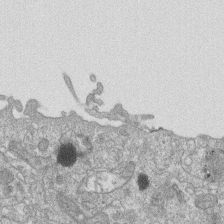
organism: Human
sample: HeLa cell HIV synapse